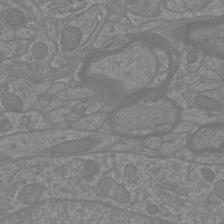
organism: Mouse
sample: Cortical neurons